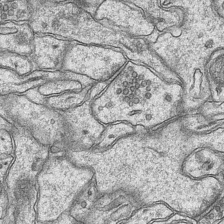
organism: Mouse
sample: CA1 Hippocampus